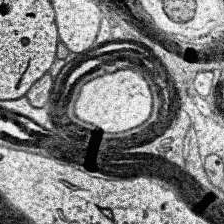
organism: Human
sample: Temporal Lobe